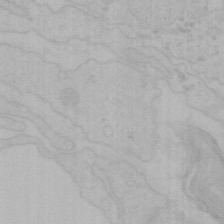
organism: Mouse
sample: Choroid plexus